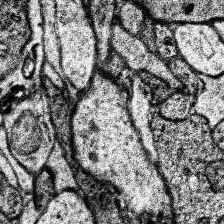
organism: Human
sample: Temporal Lobe